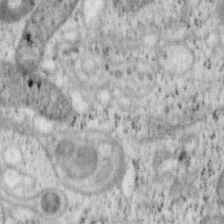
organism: Mouse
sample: OT-I killer T cells with ID8 ovarian cancer cells